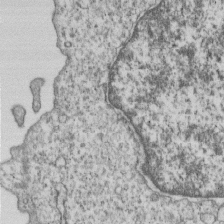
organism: Human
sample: MDA-MB-231 cells